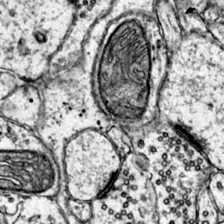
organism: Mouse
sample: Primary visual cortex